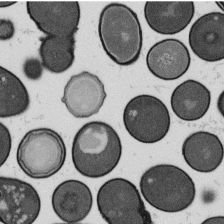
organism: B. subtilis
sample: Bacterial spore